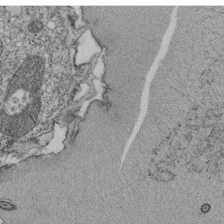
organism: Tetrahymena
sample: Cilia in tetrahymena